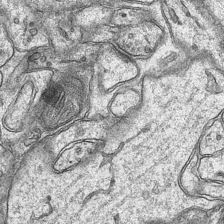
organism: Mouse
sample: CA1 Hippocampus